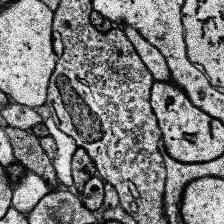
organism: Human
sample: Temporal Lobe